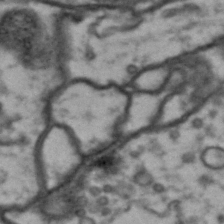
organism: Drosophila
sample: Brain